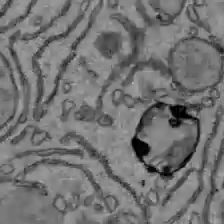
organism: C57BL Mouse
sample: Liver